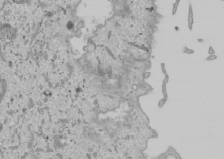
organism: Human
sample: Mitochondria in U2OS cells